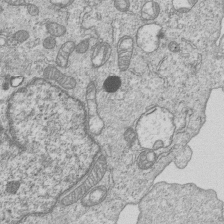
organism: Human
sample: MDA-MB-231 cells